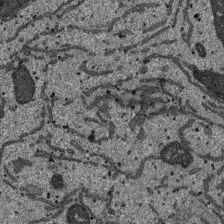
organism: Human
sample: Lung epithelial cells infected with SARS-CoV-2